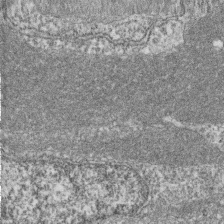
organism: Zebrafish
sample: Cilia; retinal pigment epithelium